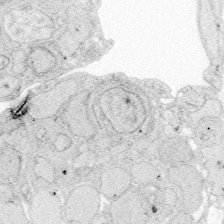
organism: Zebrafish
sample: Whole-Brain